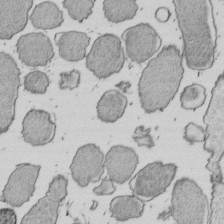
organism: E. coli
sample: Bacterial nucleoid